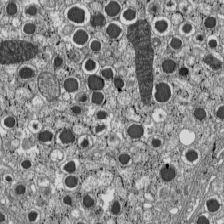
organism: C57BL Mouse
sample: Pancreatic islet